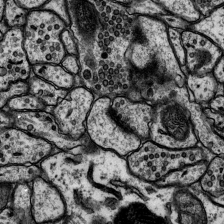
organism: Rat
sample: Hippocampus